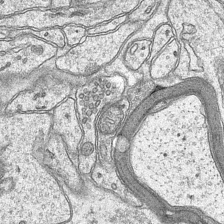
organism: Mouse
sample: CA1 Hippocampus